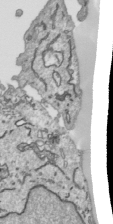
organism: Human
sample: Mitochondria in HCT116 cells